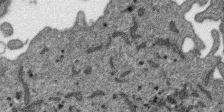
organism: Human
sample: Lung epithelial cells infected with SARS-CoV-2